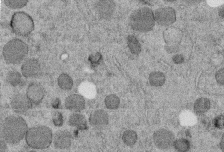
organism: C. elegans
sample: C. elegans embryo early stage